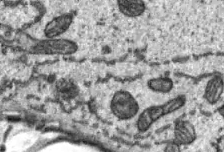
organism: Human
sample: HeLa cells